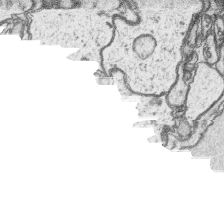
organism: Platynereis dumerilii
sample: Parapodia